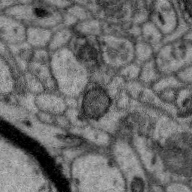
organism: Zebra finch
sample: Brain